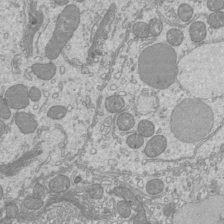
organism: Mouse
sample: Cilia; mouse epididymis